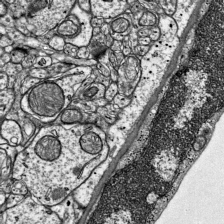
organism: Mouse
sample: Visual Cortex